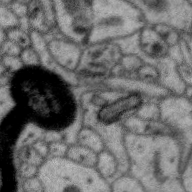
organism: Zebra finch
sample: Brain